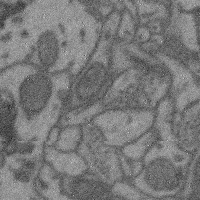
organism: Mouse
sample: Cerebral cortex